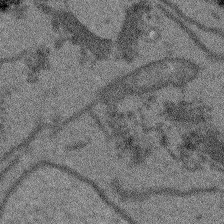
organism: Arabidopsis thaliana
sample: Root tip